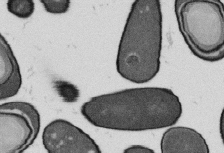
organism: B. subtilis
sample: Bacterial spore